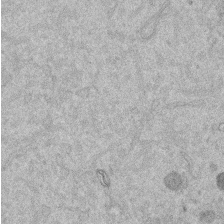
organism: Mouse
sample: Dividing mouse embryo 1 cell stage